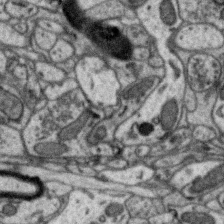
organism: Zebra finch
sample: Brain